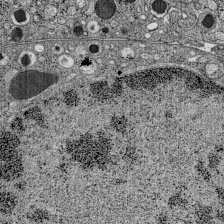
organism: C57BL Mouse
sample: Pancreatic islet